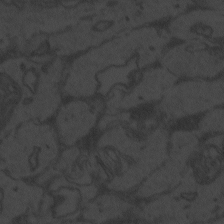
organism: Zebrafish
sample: Macrophage infected with Toxoplasma gondii